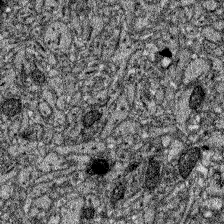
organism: Zebrafish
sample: Larval olfactory bulb